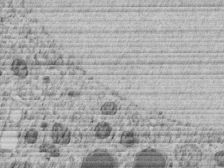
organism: C. elegans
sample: C. elegans embryo early stage